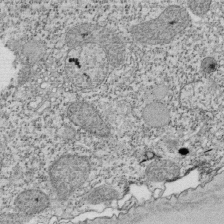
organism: Tetrahymena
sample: Cilia in tetrahymena